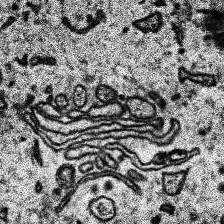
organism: Human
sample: Temporal Lobe